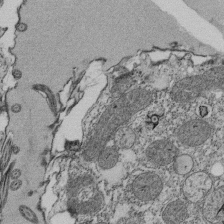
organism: Tetrahymena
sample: Cilia in tetrahymena